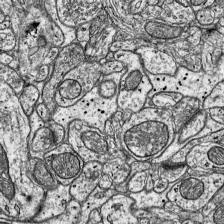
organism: Mouse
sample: Visual Cortex